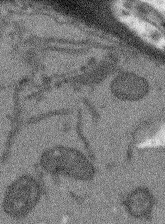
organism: Arabidopsis thaliana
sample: Root tip